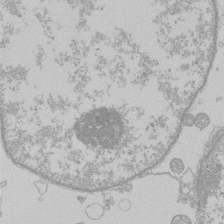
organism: Human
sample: Macrophage cells